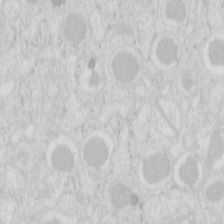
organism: Mouse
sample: Pancreas